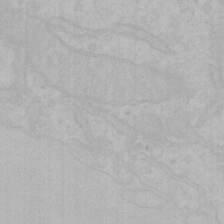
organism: Mouse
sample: Choroid plexus